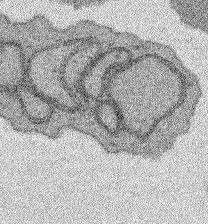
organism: Human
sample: HeLa cells